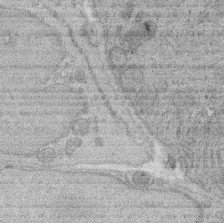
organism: Rat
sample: Salivary granule